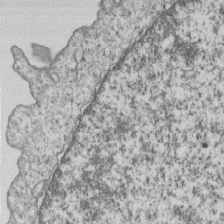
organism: Human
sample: MDA-MB-231 cells